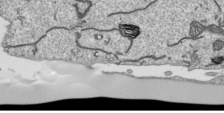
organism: Human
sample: Mitochondria in HCT116 cells